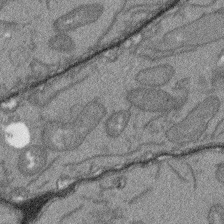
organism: Arabidopsis thaliana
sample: Root tip